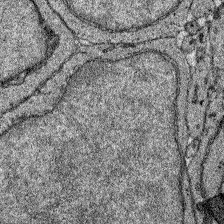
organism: Zebrafish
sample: Larval olfactory bulb